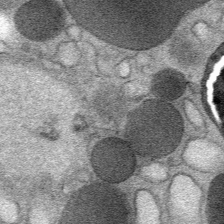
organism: Mouse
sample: Mouse Salivary gland